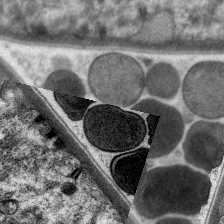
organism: C. elegans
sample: Pharynx